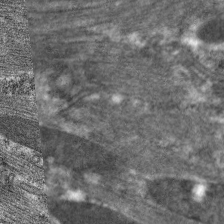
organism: C. elegans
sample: Pharynx